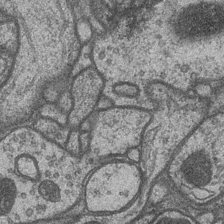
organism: Drosophila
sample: Optic medulla